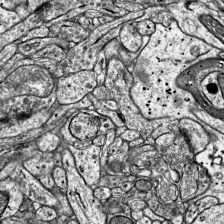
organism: Mouse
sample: Visual Cortex